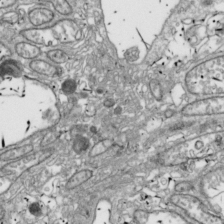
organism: Drosophila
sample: Cell division; meiosis; drosophila spermatocytes